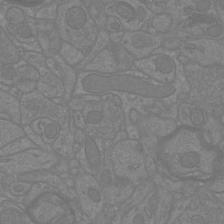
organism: Mouse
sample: Cortical neurons